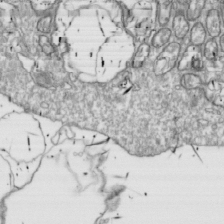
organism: Drosophila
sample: Cell division; meiosis; drosophila spermatocytes